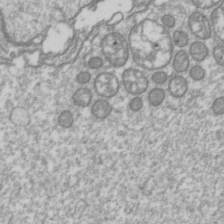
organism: Drosophila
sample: Cell division; meiosis; drosophila spermatocytes